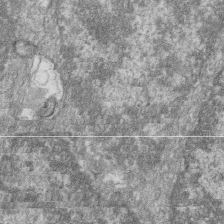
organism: Zebrafish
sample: Cilia; retinal pigment epithelium